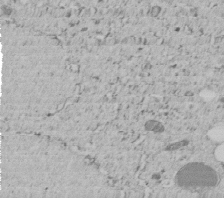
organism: C. elegans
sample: C. elegans embryo early stage